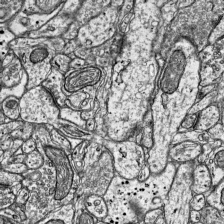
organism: Mouse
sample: Visual Cortex